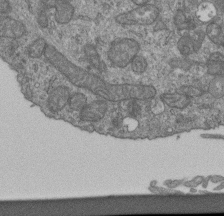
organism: Human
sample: Retinal organoid Rod and Cone cells